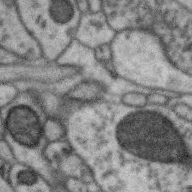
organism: Zebra finch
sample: Brain